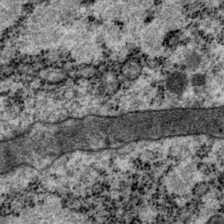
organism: P. pacificus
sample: Pharynx